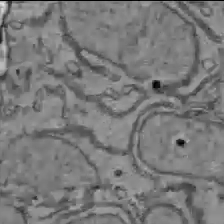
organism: C57BL Mouse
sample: Liver